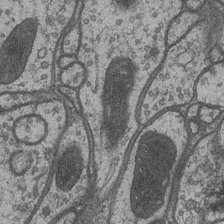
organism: Drosophila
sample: Optic medulla